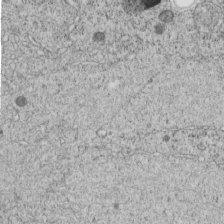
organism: C. elegans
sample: C. elegans embryo early stage